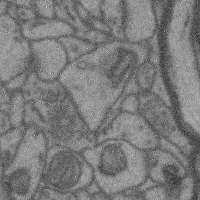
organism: Mouse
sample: Cerebral cortex